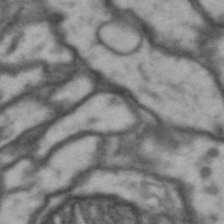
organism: Drosophila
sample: Brain